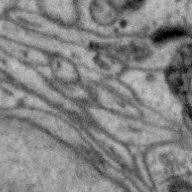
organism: Zebra finch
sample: Brain